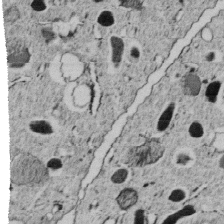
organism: C. elegans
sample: C. elegans embryo early stage